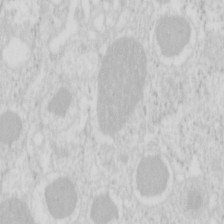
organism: Mouse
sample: Pancreas